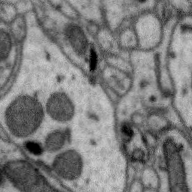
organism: Zebra finch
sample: Brain